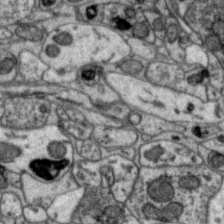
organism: Zebra finch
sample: Brain